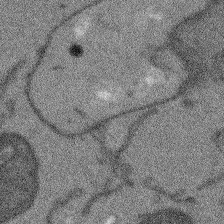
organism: Arabidopsis thaliana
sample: Root tip